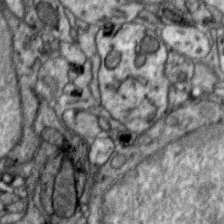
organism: Zebra finch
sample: Brain